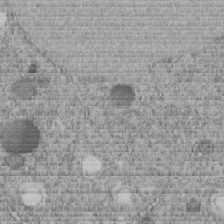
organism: C. elegans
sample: C. elegans embryo early stage